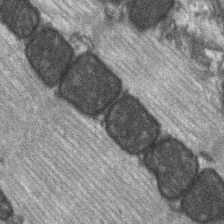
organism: C57BL Mouse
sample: Soleus